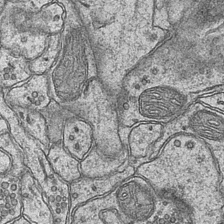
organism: Mouse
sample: CA1 Hippocampus